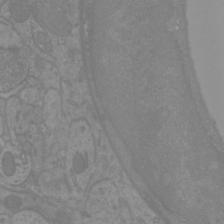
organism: Mouse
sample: Cortical neurons